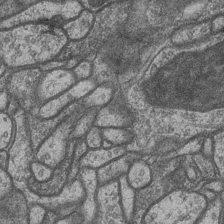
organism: Drosophila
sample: Optic medulla